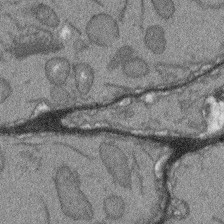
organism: Arabidopsis thaliana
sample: Root tip